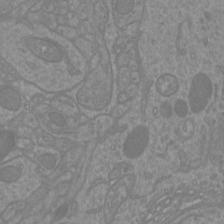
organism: Mouse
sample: Cortical neurons